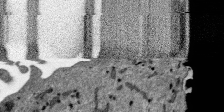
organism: Human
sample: Lung epithelial cells, uninfected (mock) control